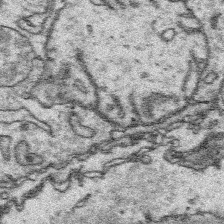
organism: Platynereis dumerilii